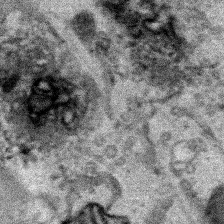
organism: Human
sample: Mitochondria in HCT116 cells